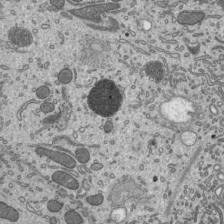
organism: Mouse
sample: Mouse epididymis efferent ductule cilia